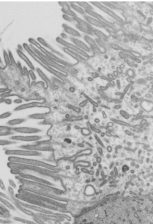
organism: Mouse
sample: Mouse epididymis efferent ductule cilia